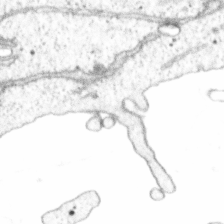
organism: Human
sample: HeLa cells